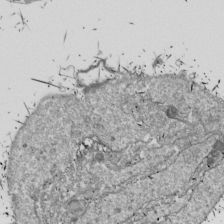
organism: Drosophila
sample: Cell division; meiosis; drosophila spermatocytes